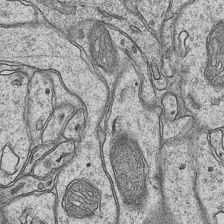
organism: Mouse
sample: CA1 Hippocampus